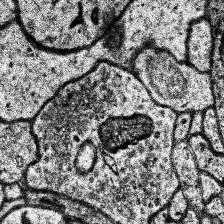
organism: Human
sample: Temporal Lobe